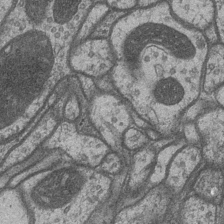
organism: Drosophila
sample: Optic medulla